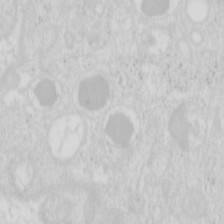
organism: Mouse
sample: Pancreas